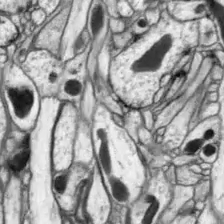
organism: Drosophila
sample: Optic lobe